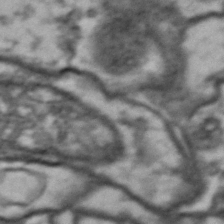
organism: Drosophila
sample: Brain